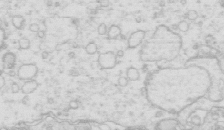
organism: Mouse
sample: Multiciliated cells